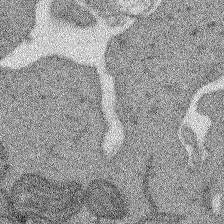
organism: Human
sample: HeLa cells